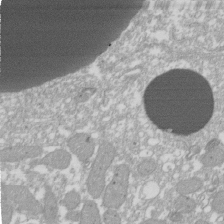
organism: Xenopus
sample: Cilia; centrioles in frog embryo cells